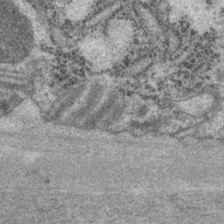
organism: P. pacificus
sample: Pharynx